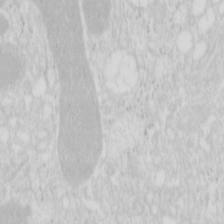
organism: Mouse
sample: Pancreas